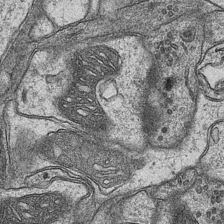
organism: Mouse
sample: CA1 Hippocampus